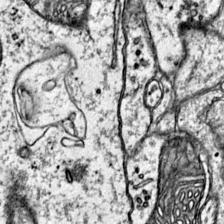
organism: Mouse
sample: Primary visual cortex